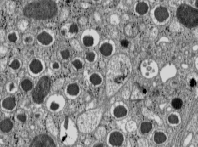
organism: C57BL Mouse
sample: Pancreatic islet